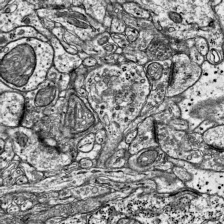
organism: Mouse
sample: Visual Cortex